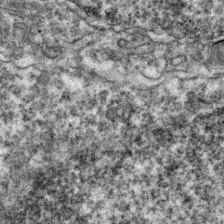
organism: Zebrafish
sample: Zebrafish embryo